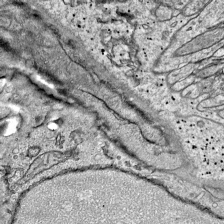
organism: Mouse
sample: Visual Cortex